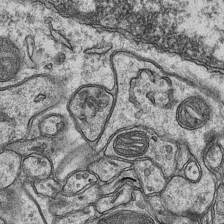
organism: Mouse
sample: CA1 Hippocampus